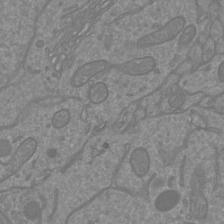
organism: Mouse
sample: Cortical neurons